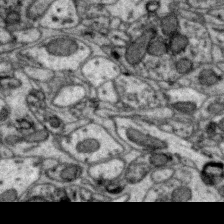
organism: Zebra finch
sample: Brain